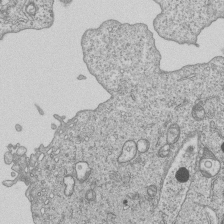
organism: Human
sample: MDA-MB-231 cells